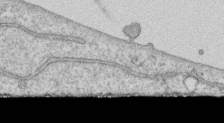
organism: Human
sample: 1205lu cells